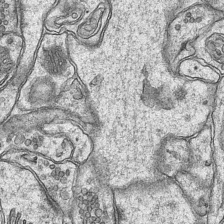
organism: Mouse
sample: CA1 Hippocampus